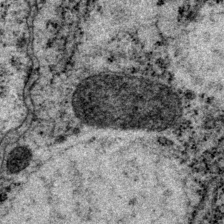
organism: P. pacificus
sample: Pharynx